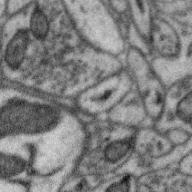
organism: Zebra finch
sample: Brain